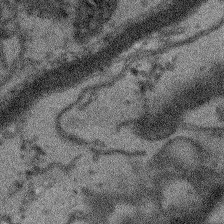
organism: Arabidopsis thaliana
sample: Root tip